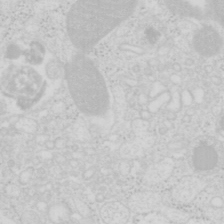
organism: Mouse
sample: Pancreas